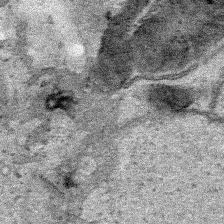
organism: Human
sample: Mitochondria in HCT116 cells